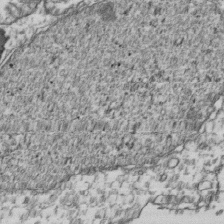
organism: Human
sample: Activated Jurkat CD4+ T cells